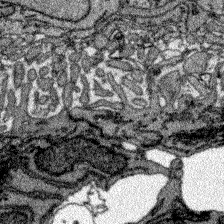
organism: Zebrafish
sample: Larval olfactory bulb